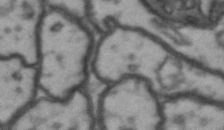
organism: Drosophila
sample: Brain